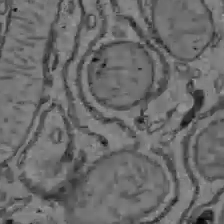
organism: C57BL Mouse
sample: Liver